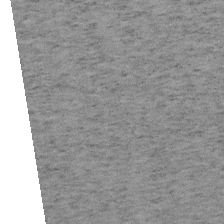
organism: Mouse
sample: OT-I killer T cells with ID8 ovarian cancer cells